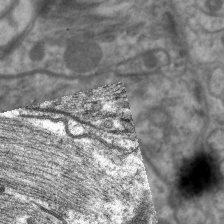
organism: C. elegans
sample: Pharynx